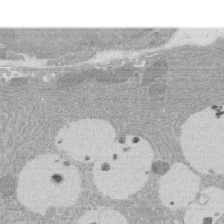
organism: Rat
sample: Salivary granule